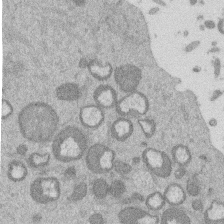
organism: Mouse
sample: Dividing mouse embryo 1 cell stage